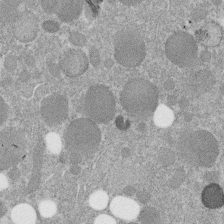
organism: C. elegans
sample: C. elegans embryo early stage